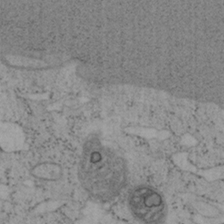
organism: Mouse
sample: OT-I killer T cells with ID8 ovarian cancer cells